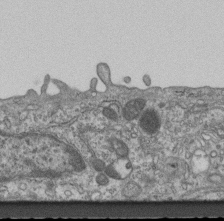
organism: Mouse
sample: Centriole in ependymal cells